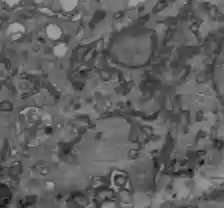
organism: C57BL Mouse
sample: Liver